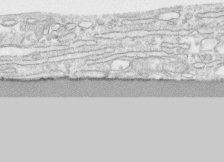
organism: Human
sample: CRL-1474